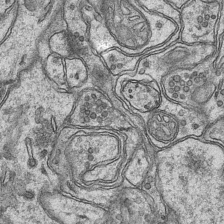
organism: Mouse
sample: CA1 Hippocampus